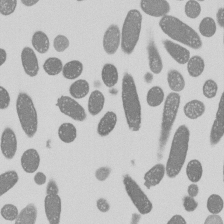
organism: E. coli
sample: Bacterial nucleoid